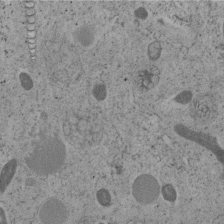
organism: C. elegans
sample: C. elegans embryo early stage